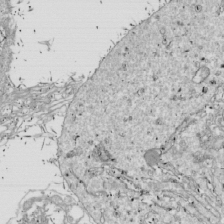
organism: Drosophila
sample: Cell division; meiosis; drosophila spermatocytes